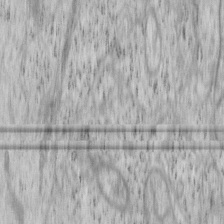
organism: Human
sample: HeLa cells